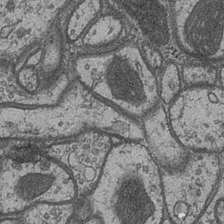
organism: Drosophila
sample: Optic medulla